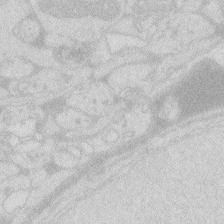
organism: Zebrafish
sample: Macrophage